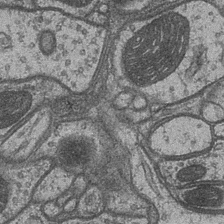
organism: Drosophila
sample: Optic medulla